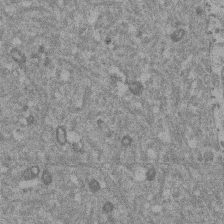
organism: Mouse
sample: Dividing mouse embryo 1 cell stage